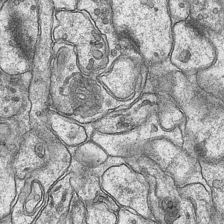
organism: Mouse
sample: CA1 Hippocampus